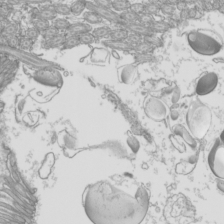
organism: Mouse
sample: Cilia; mouse epididymis